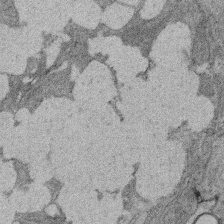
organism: Rat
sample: Salivary granule